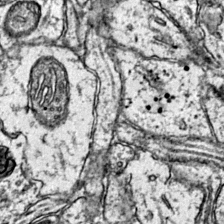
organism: Mouse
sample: Primary visual cortex